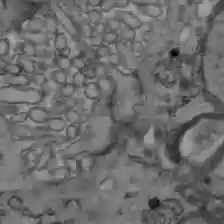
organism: C57BL Mouse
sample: Liver